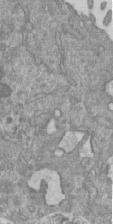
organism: Mouse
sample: ED-1 cell nuclei; centrioles